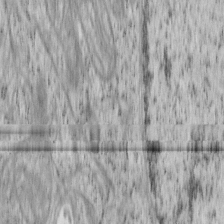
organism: Human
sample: HeLa cells